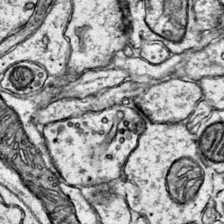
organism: Mouse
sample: Primary visual cortex